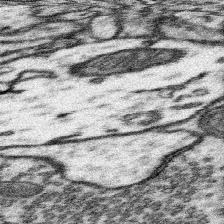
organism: Mouse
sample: Somatosensory cortex neuropil